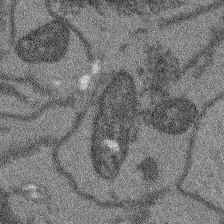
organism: Arabidopsis thaliana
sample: Root tip